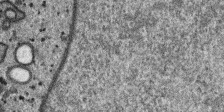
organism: Human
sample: Lung epithelial cells infected with SARS-CoV-2